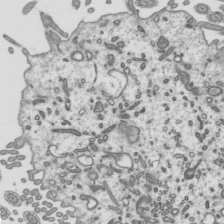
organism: Mouse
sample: Mouse epididymis efferent ductule cilia